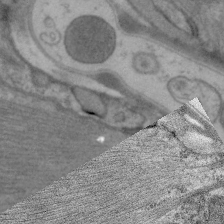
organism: C. elegans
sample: Pharynx